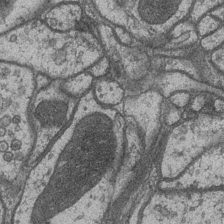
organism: Drosophila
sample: Optic medulla